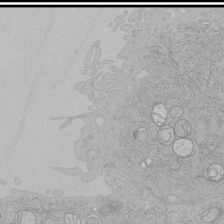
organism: Human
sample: Mitochondria in HCT116 cells